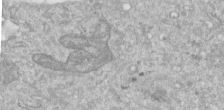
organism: Human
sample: Centriole in RPE cells